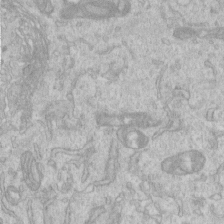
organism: Human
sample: Centriole in RPE cells